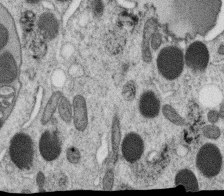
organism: C. elegans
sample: C. elegans oocyte; sperm cells